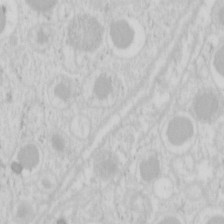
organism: Mouse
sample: Pancreas